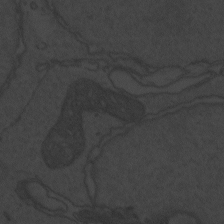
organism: Zebrafish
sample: Macrophage infected with Toxoplasma gondii